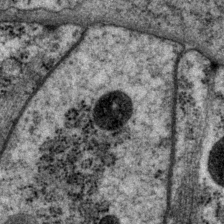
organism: P. pacificus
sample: Pharynx